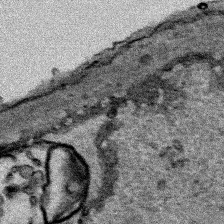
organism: Human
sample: Mitochondria in HCT116 cells